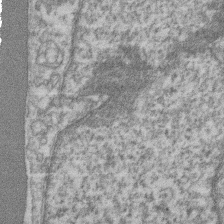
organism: Mouse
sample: T cell stromal cell synapse